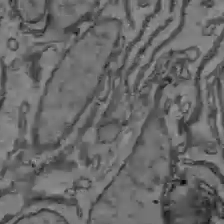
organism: C57BL Mouse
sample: Liver